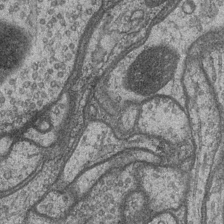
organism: Drosophila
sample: Optic medulla